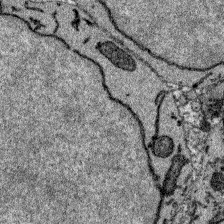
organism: Zebrafish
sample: Larval olfactory bulb